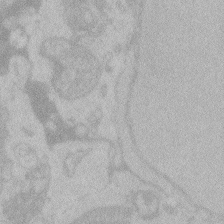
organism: Zebrafish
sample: Macrophage infected with Toxoplasma gondii